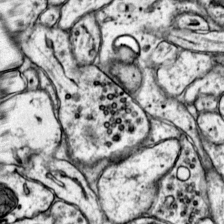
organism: Mouse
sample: Primary visual cortex